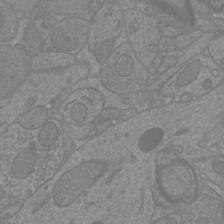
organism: Mouse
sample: Cortical neurons